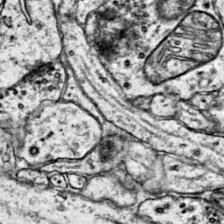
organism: Mouse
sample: Primary visual cortex